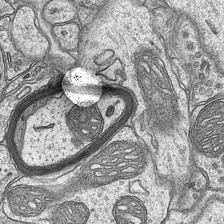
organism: Mouse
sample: CA1 Hippocampus